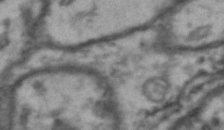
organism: Drosophila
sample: Brain